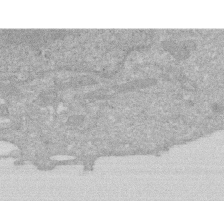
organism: Human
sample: HIV infected U937 cells